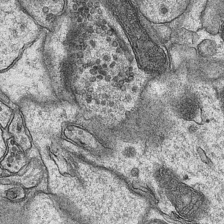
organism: Mouse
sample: CA1 Hippocampus